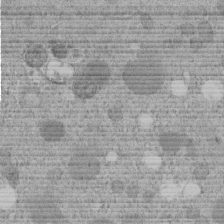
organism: C. elegans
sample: C. elegans embryo early stage